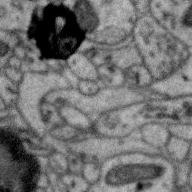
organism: Zebra finch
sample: Brain